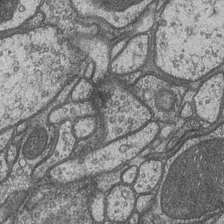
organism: Drosophila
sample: Optic medulla